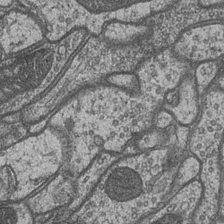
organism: Drosophila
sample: Optic medulla